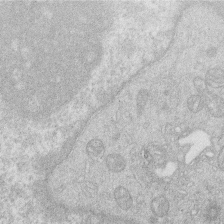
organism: Human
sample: Macrophage cells